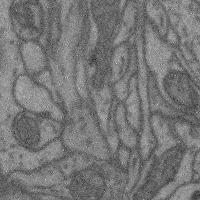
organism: Mouse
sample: Cerebral cortex